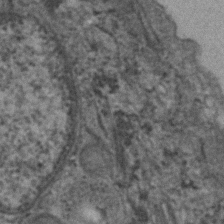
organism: Human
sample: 1205lu cells